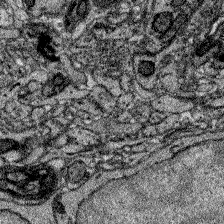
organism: Zebrafish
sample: Larval olfactory bulb